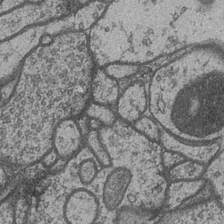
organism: Drosophila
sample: Optic medulla